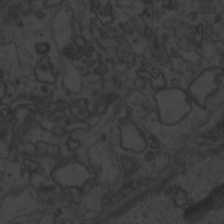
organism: Zebrafish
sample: Macrophage infected with Toxoplasma gondii